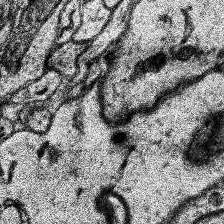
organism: Human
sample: Temporal Lobe